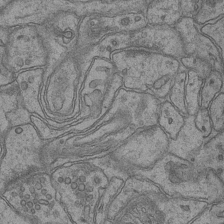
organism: Mouse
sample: CA1 Hippocampus